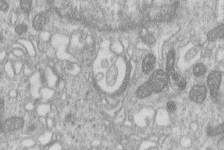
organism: Human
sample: Macrophage cells